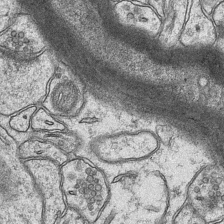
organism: Mouse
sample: CA1 Hippocampus